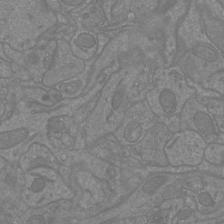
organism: Mouse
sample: Cortical neurons